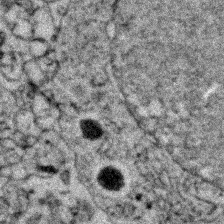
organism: Zebrafish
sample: Zebrafish embryo